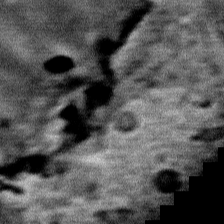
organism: Mouse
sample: Mouse Salivary gland